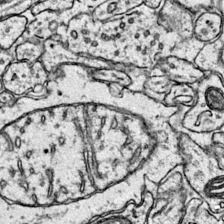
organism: Mouse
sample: Primary visual cortex